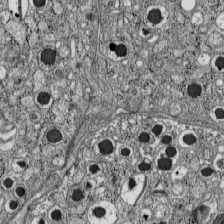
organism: C57BL Mouse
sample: Pancreatic islet